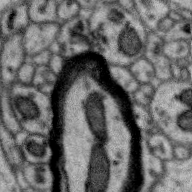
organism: Zebra finch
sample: Brain